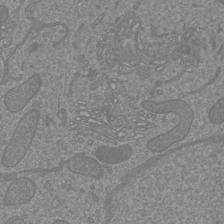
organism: Mouse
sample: Cortical neurons